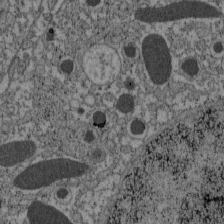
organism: C57BL Mouse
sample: Pancreatic islet